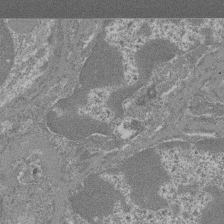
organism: Mouse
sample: Glomerulus